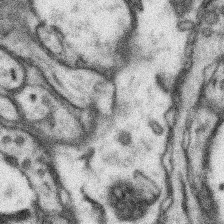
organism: Mouse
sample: Somatosensory cortex neuropil